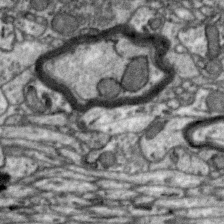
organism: Zebra finch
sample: Brain